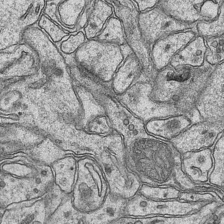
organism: Mouse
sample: CA1 Hippocampus